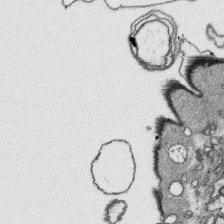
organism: Platynereis dumerilii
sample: Parapodia